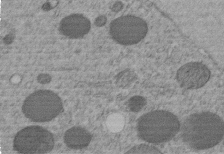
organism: C. elegans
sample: C. elegans embryo early stage